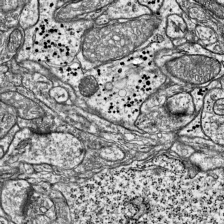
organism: Mouse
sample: Visual Cortex